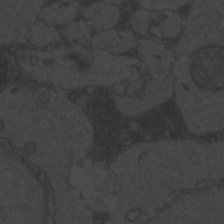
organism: Zebrafish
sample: Macrophage infected with Toxoplasma gondii